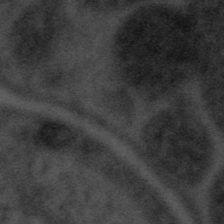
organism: Tuwongella immobilis